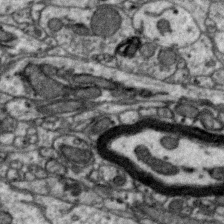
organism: Zebra finch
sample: Brain